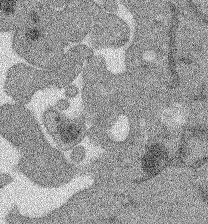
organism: Human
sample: HeLa cells